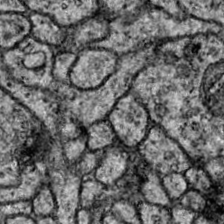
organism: Drosophila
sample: Ventral Nerve Cord